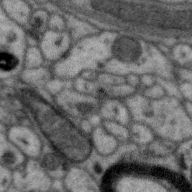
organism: Zebra finch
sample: Brain